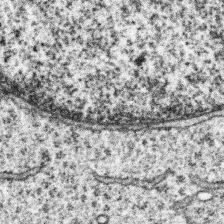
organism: Human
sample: HeLa cells